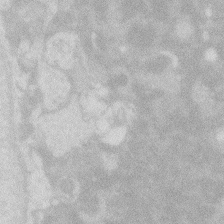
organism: Zebrafish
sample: Macrophage